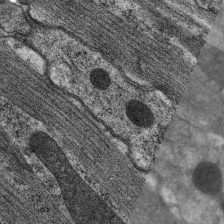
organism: C. elegans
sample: Pharynx